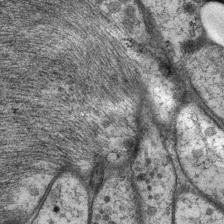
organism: P. pacificus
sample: Pharynx